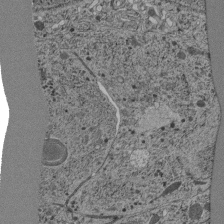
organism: C. elegans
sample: C. elegans pharynx